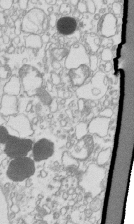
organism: Mouse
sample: Macrophages